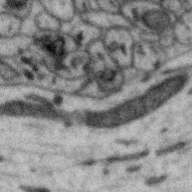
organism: Zebra finch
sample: Brain